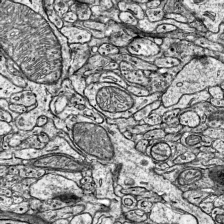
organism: Mouse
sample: Visual Cortex